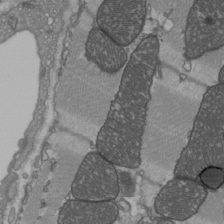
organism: C57BL Mouse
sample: Heart